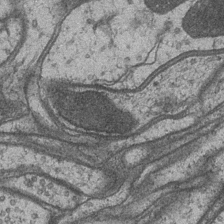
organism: Drosophila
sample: Optic medulla